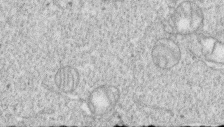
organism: Human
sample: HeLa cell HIV synapse